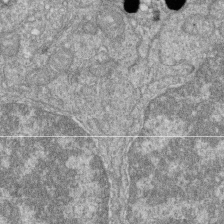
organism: Zebrafish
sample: Cilia; retinal pigment epithelium